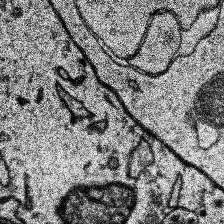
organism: Human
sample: Temporal Lobe